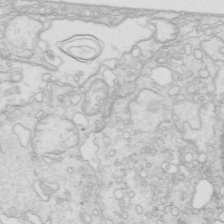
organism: Mouse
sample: Multiciliated cells